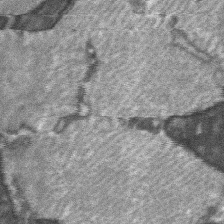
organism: C57BL Mouse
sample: Soleus